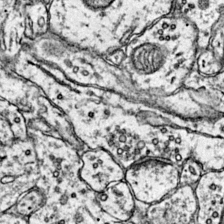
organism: Mouse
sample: Primary visual cortex